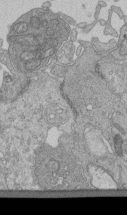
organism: Human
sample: Retinal organoid Rod and Cone cells